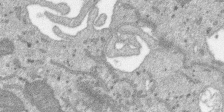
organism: Human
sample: Lung epithelial cells infected with SARS-CoV-2